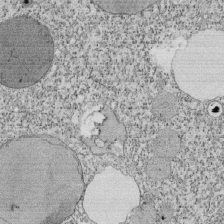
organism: Tetrahymena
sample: Cilia in tetrahymena